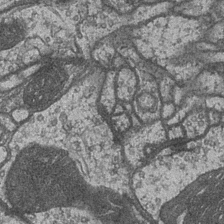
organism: Drosophila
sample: Optic medulla